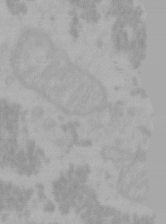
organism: Mouse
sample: Choroid plexus